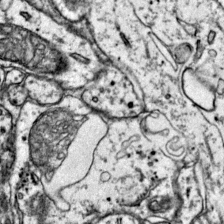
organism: Mouse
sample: Primary visual cortex